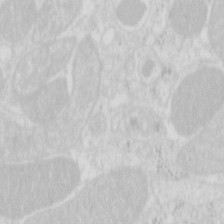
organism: Mouse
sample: Pancreas